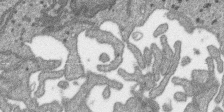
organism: Human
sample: Lung epithelial cells infected with SARS-CoV-2